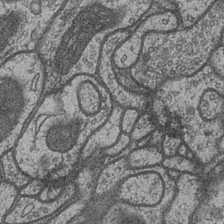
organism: Drosophila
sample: Optic medulla